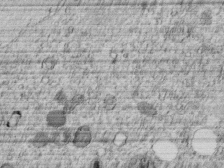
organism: C. elegans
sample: C. elegans embryo early stage